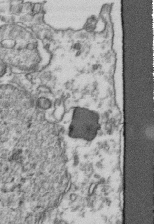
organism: Human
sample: Activated Jurkat CD4+ T cells